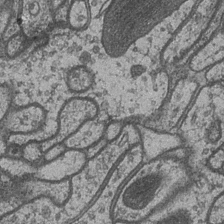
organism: Drosophila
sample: Optic medulla